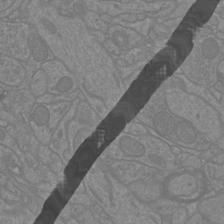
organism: Mouse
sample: Cortical neurons